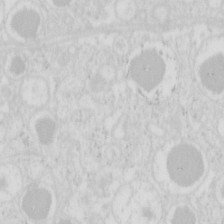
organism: Mouse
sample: Pancreas